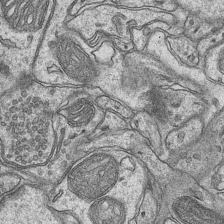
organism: Mouse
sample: CA1 Hippocampus